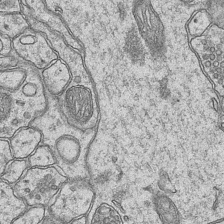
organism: Mouse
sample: CA1 Hippocampus